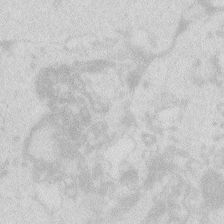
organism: Zebrafish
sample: Macrophage